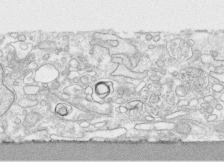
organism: Human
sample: CRL-1474